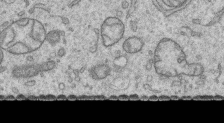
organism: Human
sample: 1205lu cells